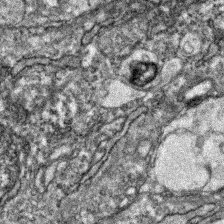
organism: Zebrafish